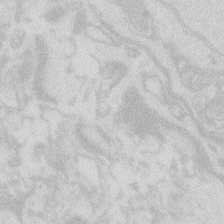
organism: Zebrafish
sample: Macrophage